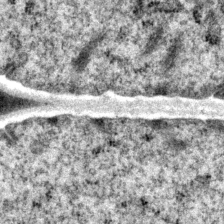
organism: P. pacificus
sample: Pharynx